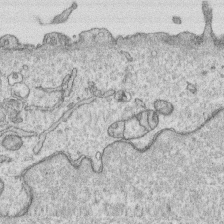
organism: Human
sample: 1205lu cells